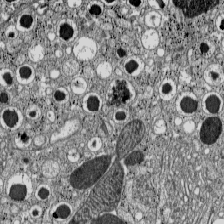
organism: C57BL Mouse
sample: Pancreatic islet